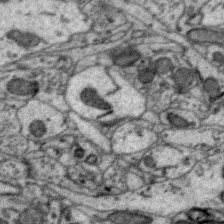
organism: Zebra finch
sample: Brain